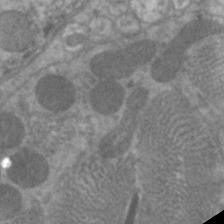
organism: C. elegans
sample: Pharynx